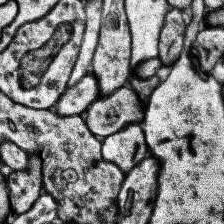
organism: Human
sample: Temporal Lobe